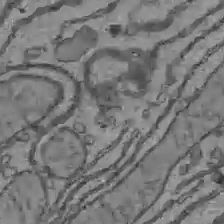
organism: C57BL Mouse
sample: Liver